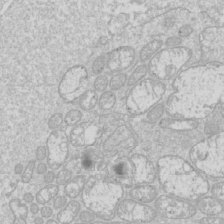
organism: Drosophila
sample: Cell division; meiosis; drosophila spermatocytes